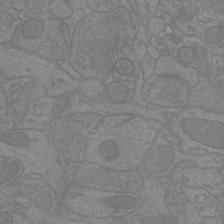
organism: Mouse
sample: Cortical neurons